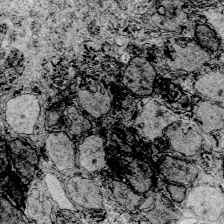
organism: Zebrafish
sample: Whole-Brain